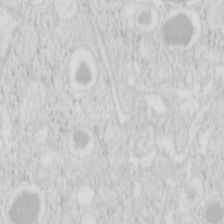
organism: Mouse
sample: Pancreas